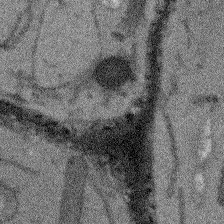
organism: Arabidopsis thaliana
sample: Root tip